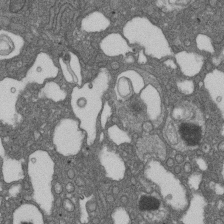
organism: Drosophila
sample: Nephrocyte